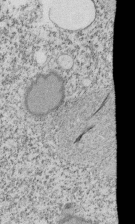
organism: Tetrahymena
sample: Cilia in tetrahymena